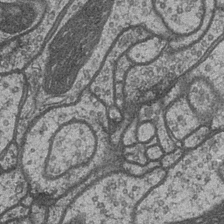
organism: Drosophila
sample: Optic medulla